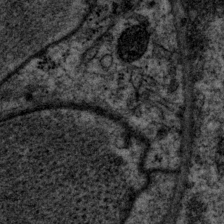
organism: P. pacificus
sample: Pharynx